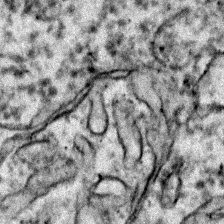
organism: Zebrafish